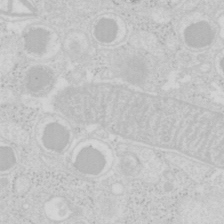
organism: Mouse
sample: Pancreas